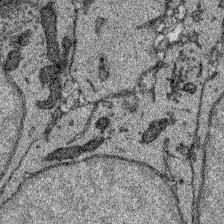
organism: Zebrafish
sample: Larval olfactory bulb